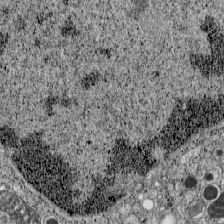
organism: C57BL Mouse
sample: Pancreatic islet